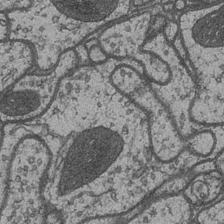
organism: Drosophila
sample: Optic medulla